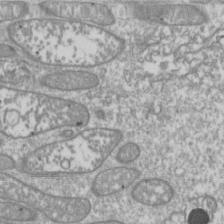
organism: Drosophila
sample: Cell division; meiosis; drosophila spermatocytes